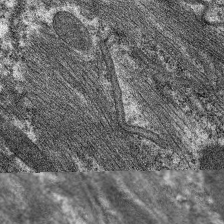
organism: C. elegans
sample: Pharynx